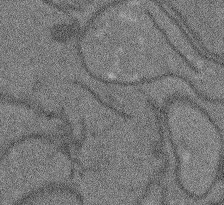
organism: Arabidopsis thaliana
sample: Root tip